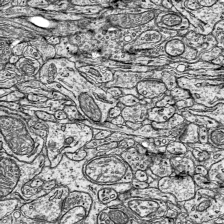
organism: Mouse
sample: Visual Cortex